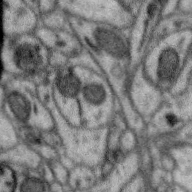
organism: Zebra finch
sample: Brain